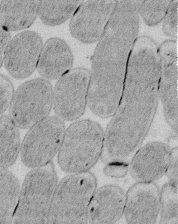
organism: E. coli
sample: Bacterial nucleoid